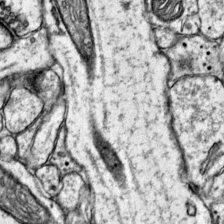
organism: Mouse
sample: Primary visual cortex